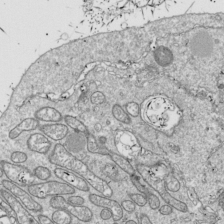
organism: Drosophila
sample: Cell division; meiosis; drosophila spermatocytes